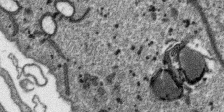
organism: Human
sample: Lung epithelial cells infected with SARS-CoV-2